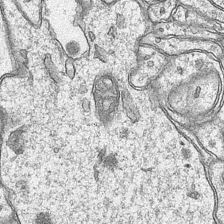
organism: Mouse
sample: CA1 Hippocampus